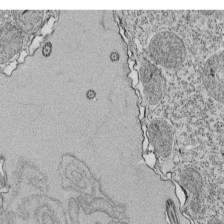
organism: Tetrahymena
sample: Cilia in tetrahymena